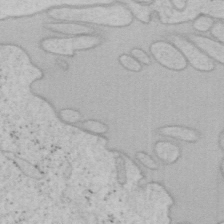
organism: Human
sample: HeLa cells